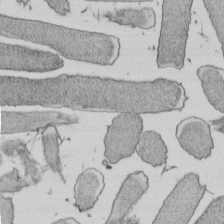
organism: E. coli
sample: Bacterial nucleoid